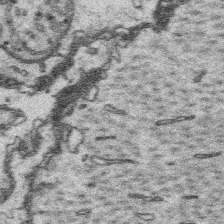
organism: Platynereis dumerilii